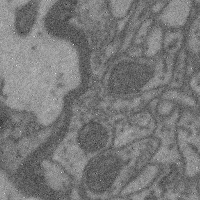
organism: Mouse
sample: Cerebral cortex